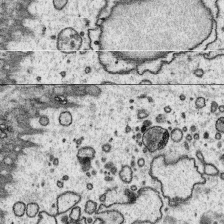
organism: Platynereis dumerilii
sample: Parapodia